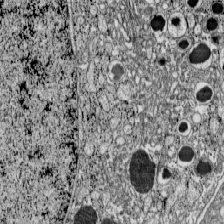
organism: C57BL Mouse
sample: Pancreatic islet